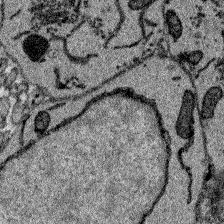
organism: Zebrafish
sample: Larval olfactory bulb